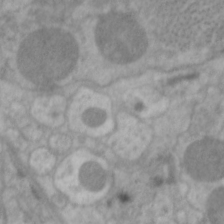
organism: C. elegans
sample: Pharynx